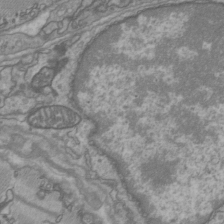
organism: C57BL Mouse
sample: Heart